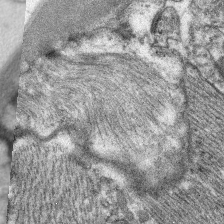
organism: C. elegans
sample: Pharynx